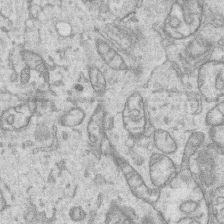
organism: Human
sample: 1205lu cells